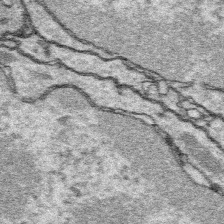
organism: Platynereis dumerilii